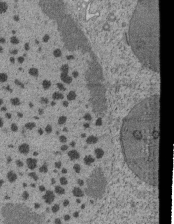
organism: Tetrahymena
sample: Cilia in tetrahymena